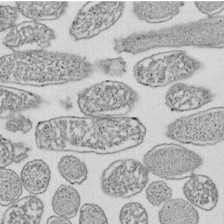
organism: E. coli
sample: Bacterial nucleoid